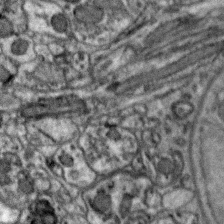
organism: Zebra finch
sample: Brain